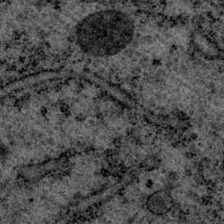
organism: P. pacificus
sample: Pharynx